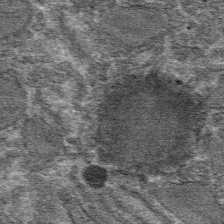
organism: Mouse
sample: Mouse hepatocytes